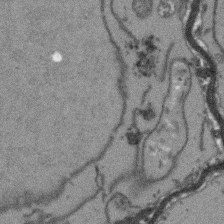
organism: Arabidopsis thaliana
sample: Root tip